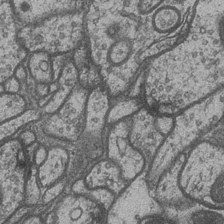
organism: Drosophila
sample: Optic medulla